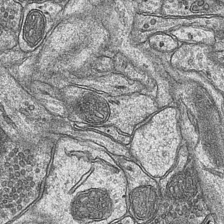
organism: Mouse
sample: CA1 Hippocampus